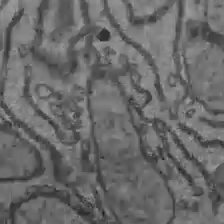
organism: C57BL Mouse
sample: Liver